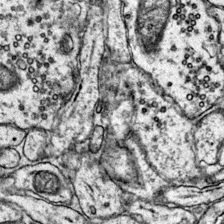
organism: Mouse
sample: Primary visual cortex